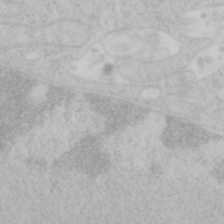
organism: Mouse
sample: OT-I killer T cells with ID8 ovarian cancer cells